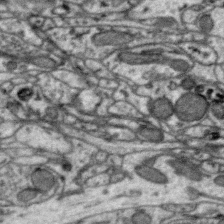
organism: Zebra finch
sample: Brain